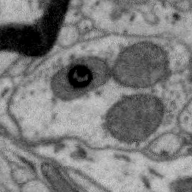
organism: Zebra finch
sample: Brain